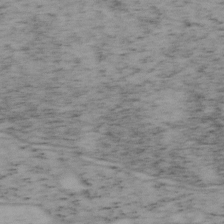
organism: Mouse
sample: OT-I killer T cells with ID8 ovarian cancer cells